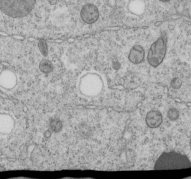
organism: C. elegans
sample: C. elegans embryo early stage